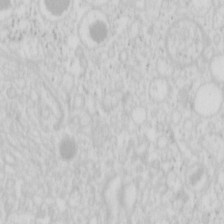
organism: Mouse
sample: Pancreas